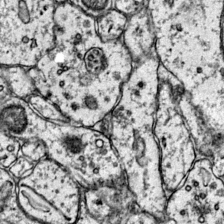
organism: Mouse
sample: Primary visual cortex